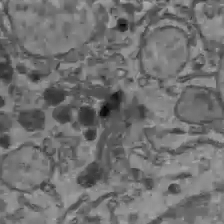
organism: C57BL Mouse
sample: Liver